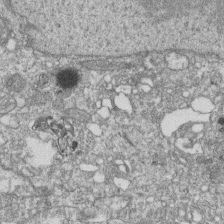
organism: Human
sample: HeLa cell HIV synapse